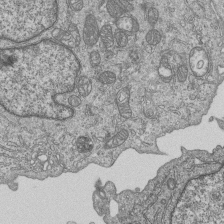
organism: Human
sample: MDA-MB-231 cells